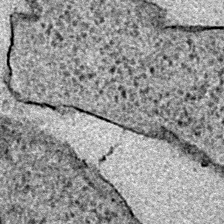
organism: E. coli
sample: E. Coli Bacteria